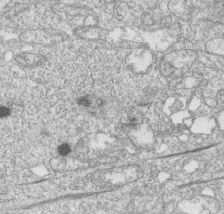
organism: Human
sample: HeLa cell HIV synapse